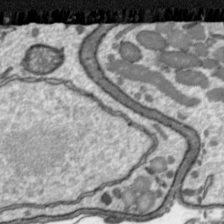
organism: Toxoplasma gondii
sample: Parasites in a vacuole inside a host cell